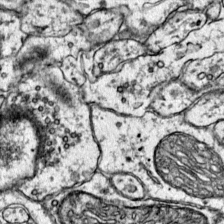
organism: Mouse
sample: Primary visual cortex